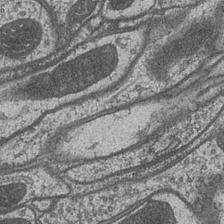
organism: Drosophila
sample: Optic medulla